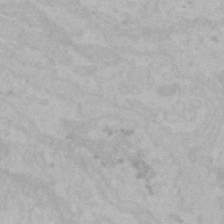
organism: Mouse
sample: Choroid plexus